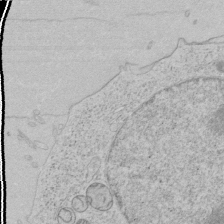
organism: Human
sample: Mitochondria in HCT116 cells